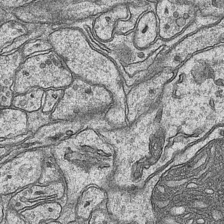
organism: Mouse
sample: CA1 Hippocampus